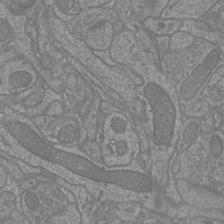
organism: Mouse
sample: Cortical neurons